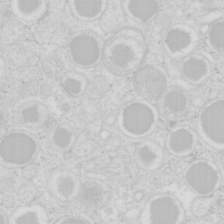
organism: Mouse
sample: Pancreas